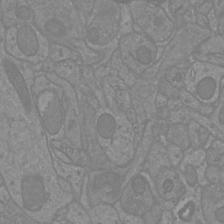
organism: Mouse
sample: Cortical neurons